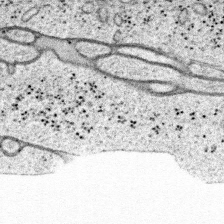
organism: Human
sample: HeLa cells